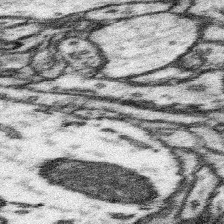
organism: Mouse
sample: Somatosensory cortex neuropil